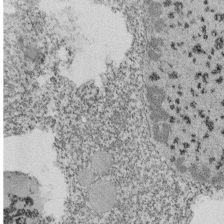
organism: Tetrahymena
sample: Cilia in tetrahymena